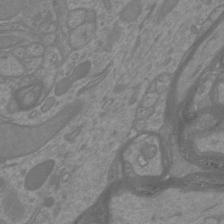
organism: Mouse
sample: Cortical neurons